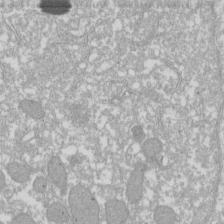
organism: Xenopus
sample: Cilia; centrioles in frog embryo cells